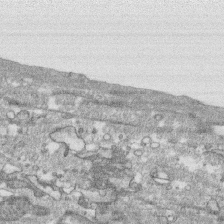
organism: Human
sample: CRL-1474